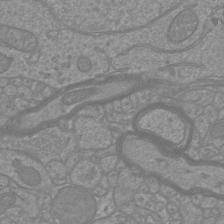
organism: Mouse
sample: Cortical neurons